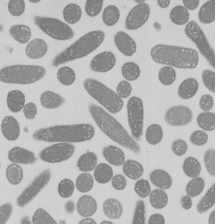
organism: E. coli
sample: Bacterial nucleoid